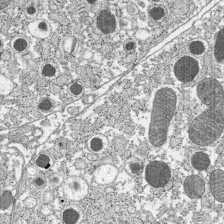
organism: C57BL Mouse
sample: Pancreatic islet